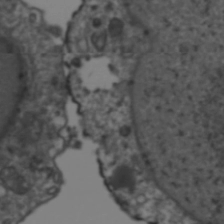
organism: Human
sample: HIV-1 Gag-iGFP